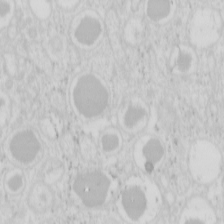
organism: Mouse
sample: Pancreas